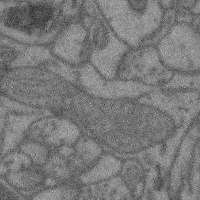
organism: Mouse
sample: Cerebral cortex